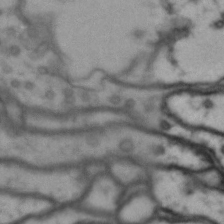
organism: Drosophila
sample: Brain